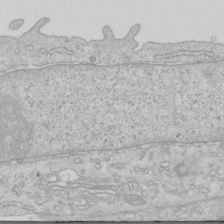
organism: Human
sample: Centriole in RPE cells